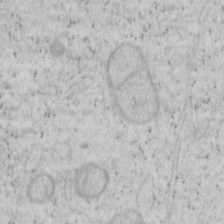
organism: Human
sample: HeLa cells